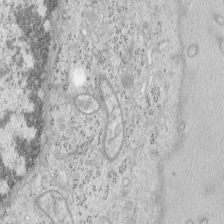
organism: Mouse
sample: OT-I killer T cells with ID8 ovarian cancer cells